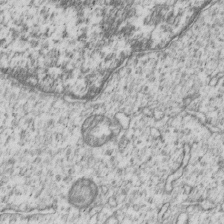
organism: Human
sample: MDA-MB-231 cells